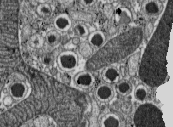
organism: C57BL Mouse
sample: Pancreatic islet